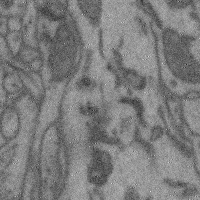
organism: Mouse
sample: Cerebral cortex